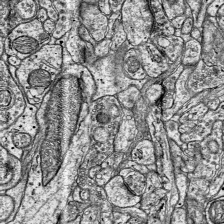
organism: Mouse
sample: Visual Cortex